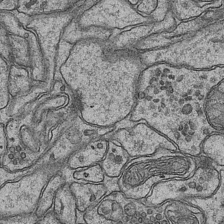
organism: Mouse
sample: CA1 Hippocampus